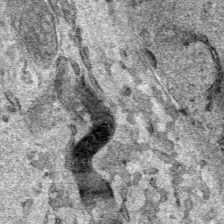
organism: Human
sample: Mitochondria in HCT116 cells